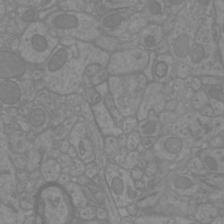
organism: Mouse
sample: Cortical neurons